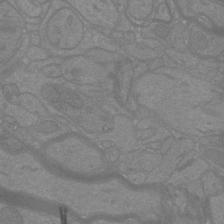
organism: Mouse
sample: Cortical neurons